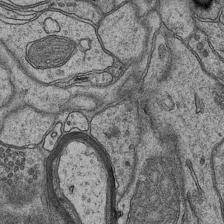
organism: Mouse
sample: CA1 Hippocampus